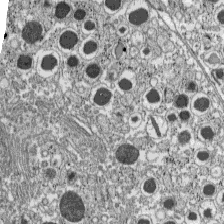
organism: C57BL Mouse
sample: Pancreatic islet